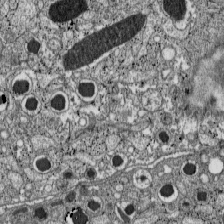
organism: C57BL Mouse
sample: Pancreatic islet